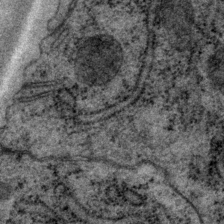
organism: P. pacificus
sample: Pharynx